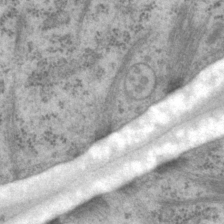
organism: P. pacificus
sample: Pharynx